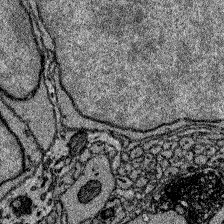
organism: Zebrafish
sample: Larval olfactory bulb